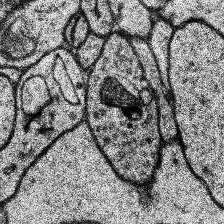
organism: Human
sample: Temporal Lobe